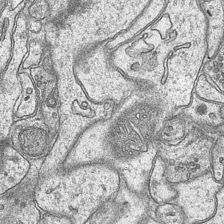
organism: Mouse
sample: CA1 Hippocampus